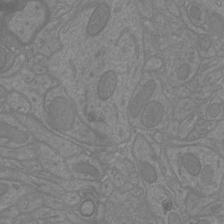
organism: Mouse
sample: Cortical neurons